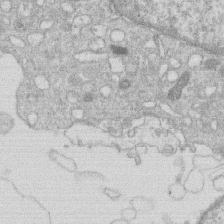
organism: Human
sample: Macrophage cells